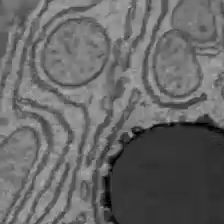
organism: C57BL Mouse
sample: Liver